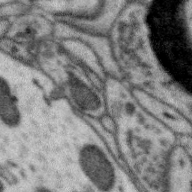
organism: Zebra finch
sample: Brain